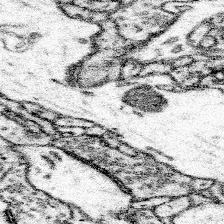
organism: Mouse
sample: Somatosensory cortex neuropil